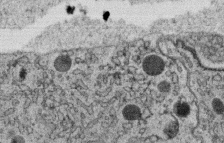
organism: C. elegans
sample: C. elegans oocyte; sperm cells